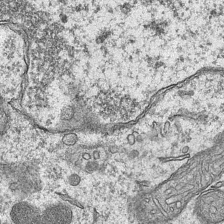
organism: Mouse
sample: CA1 Hippocampus